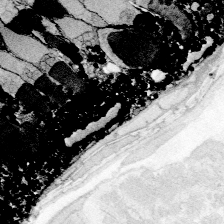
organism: Zebrafish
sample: Whole-Brain